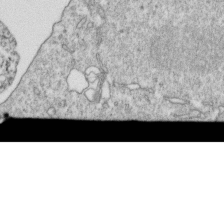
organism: Mouse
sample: Activated OT-1 CD8+ T cells